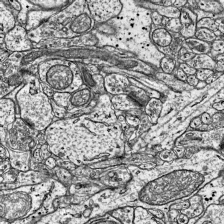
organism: Mouse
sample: Visual Cortex